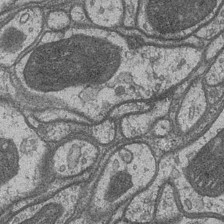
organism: Drosophila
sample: Optic medulla